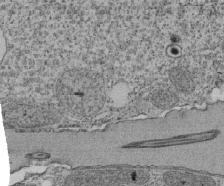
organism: Tetrahymena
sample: Cilia in tetrahymena